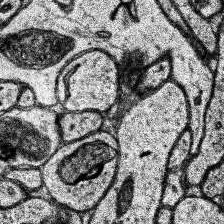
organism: Human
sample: Temporal Lobe